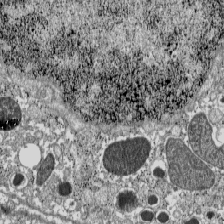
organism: C57BL Mouse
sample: Pancreatic islet